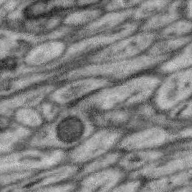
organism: Zebra finch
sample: Brain